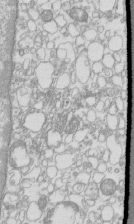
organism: Mouse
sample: Macrophages